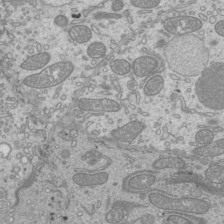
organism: Mouse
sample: Cilia; mouse epididymis